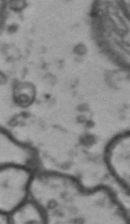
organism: Drosophila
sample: Brain